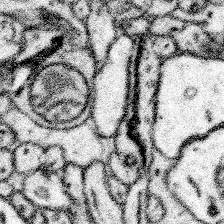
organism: Mouse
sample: Somatosensory cortex neuropil